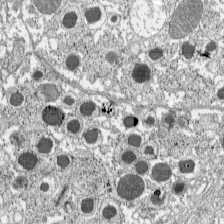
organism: C57BL Mouse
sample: Pancreatic islet